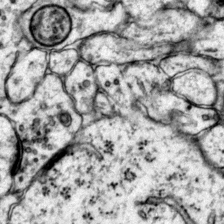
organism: Mouse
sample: Primary visual cortex